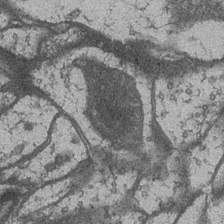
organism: Drosophila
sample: Optic medulla